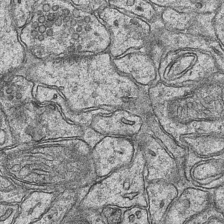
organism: Mouse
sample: CA1 Hippocampus